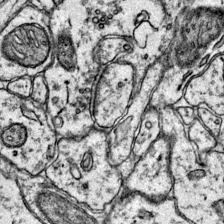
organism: Mouse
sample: Primary visual cortex